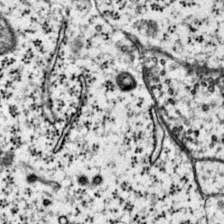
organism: Mouse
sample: Primary visual cortex